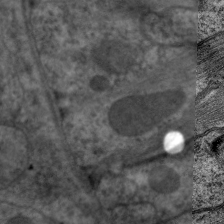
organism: C. elegans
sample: Pharynx